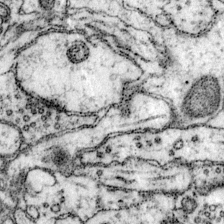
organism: Mouse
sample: Primary visual cortex